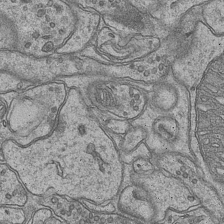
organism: Mouse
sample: CA1 Hippocampus